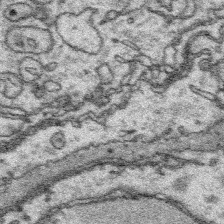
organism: Platynereis dumerilii